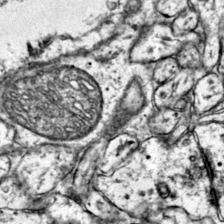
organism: Mouse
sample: Primary visual cortex